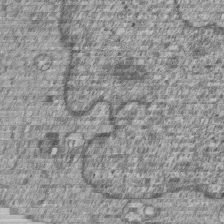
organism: Human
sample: MDA-MB-231 cells